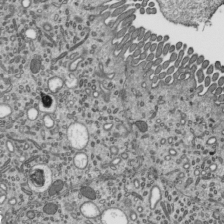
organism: Mouse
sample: Mouse epididymis efferent ductule cilia